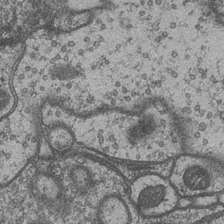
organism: Drosophila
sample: Optic medulla